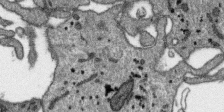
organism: Human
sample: Lung epithelial cells, uninfected (mock) control